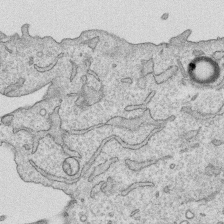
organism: Human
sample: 1205lu cells